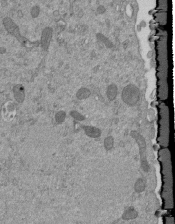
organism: Mouse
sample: ED-1 cell nuclei; centrioles